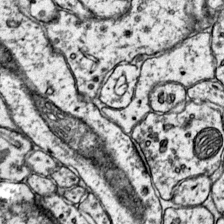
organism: Mouse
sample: Primary visual cortex